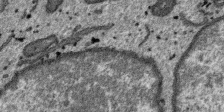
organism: Human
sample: Lung epithelial cells, uninfected (mock) control